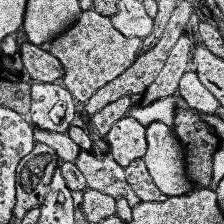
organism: Human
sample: Temporal Lobe